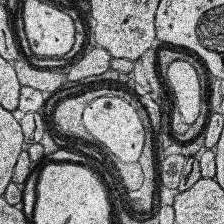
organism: Human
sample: Temporal Lobe